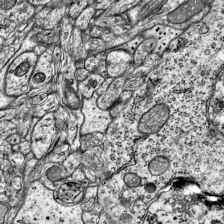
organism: Mouse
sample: Visual Cortex